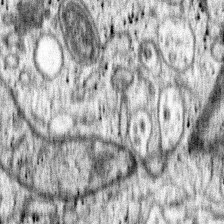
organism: Human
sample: HeLa cells